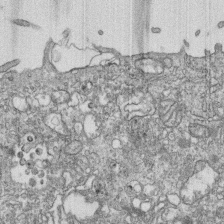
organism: Human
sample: HeLa cell HIV synapse